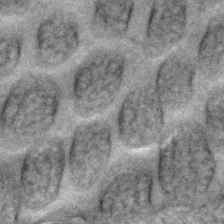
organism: C. elegans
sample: C. elegans embryo